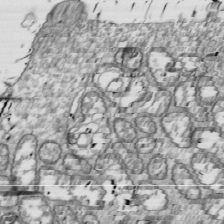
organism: Drosophila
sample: Cell division; meiosis; drosophila spermatocytes